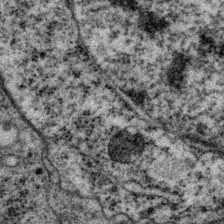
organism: P. pacificus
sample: Pharynx